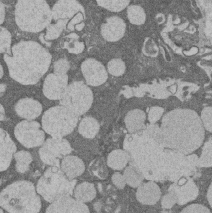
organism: Rat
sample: Salivary granule